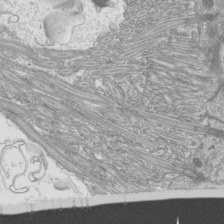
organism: Mouse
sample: Cilia; mouse epididymis